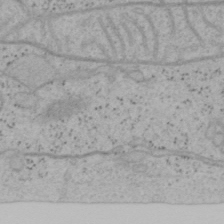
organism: Human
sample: HeLa cells